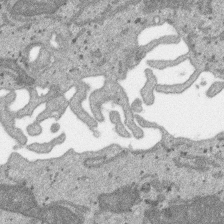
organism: Human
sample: Lung epithelial cells infected with SARS-CoV-2